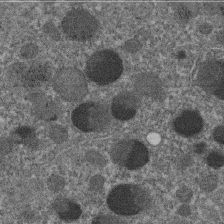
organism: C. elegans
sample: C. elegans embryo early stage